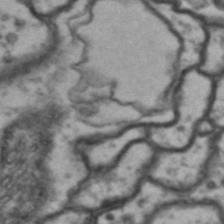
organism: Drosophila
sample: Brain